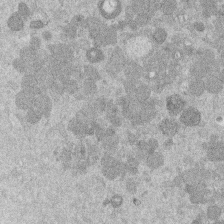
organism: Mouse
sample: Dividing mouse embryo 1 cell stage